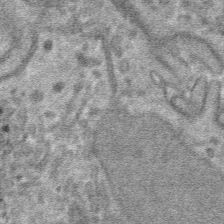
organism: Mouse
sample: Mouse hepatocytes